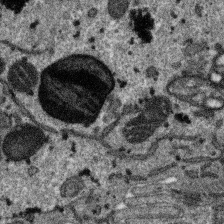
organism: Human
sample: Lung epithelial cells infected with SARS-CoV-2